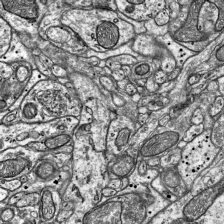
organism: Mouse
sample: Visual Cortex